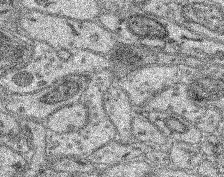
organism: Mouse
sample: Retina